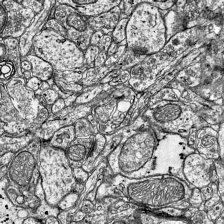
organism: Mouse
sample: Visual Cortex